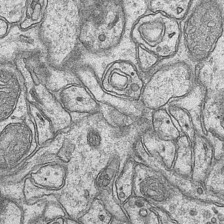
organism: Mouse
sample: CA1 Hippocampus